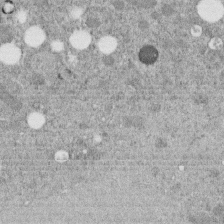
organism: C. elegans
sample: C. elegans embryo early stage